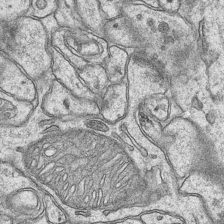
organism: Mouse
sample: CA1 Hippocampus